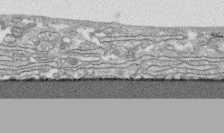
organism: Human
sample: CRL-1474